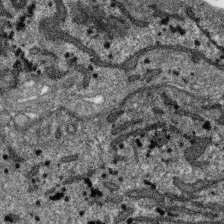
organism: Human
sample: Lung epithelial cells infected with SARS-CoV-2